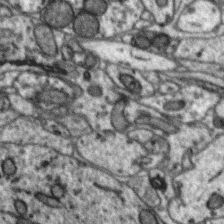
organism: Zebra finch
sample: Brain